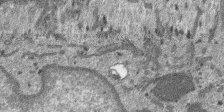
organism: Human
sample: Lung epithelial cells infected with SARS-CoV-2